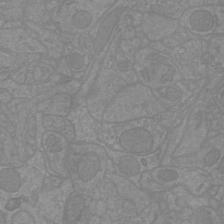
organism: Mouse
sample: Cortical neurons